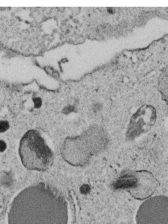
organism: C. elegans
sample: C. elegans embryo early stage